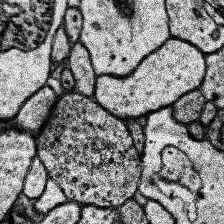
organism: Human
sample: Temporal Lobe